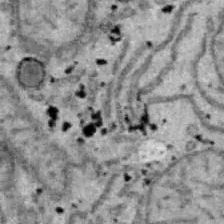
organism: Mouse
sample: Liver from an obese (ob/ob) mouse